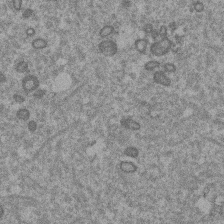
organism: Mouse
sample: Dividing mouse embryo 1 cell stage